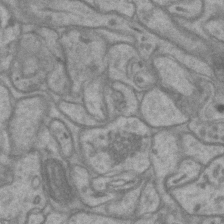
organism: Mouse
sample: CA1 Hippocampus